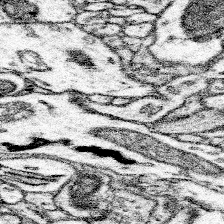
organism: Mouse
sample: Somatosensory cortex neuropil